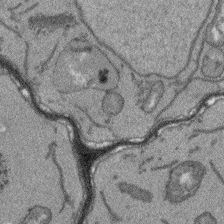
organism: Arabidopsis thaliana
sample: Root tip